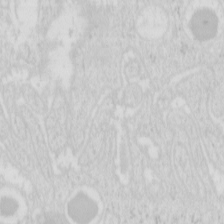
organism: Mouse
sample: Pancreas